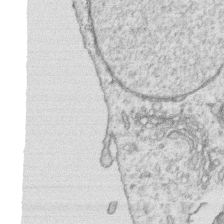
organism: Human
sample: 1205lu cells